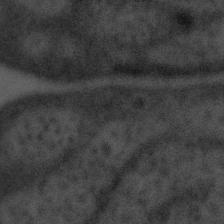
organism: Tuwongella immobilis